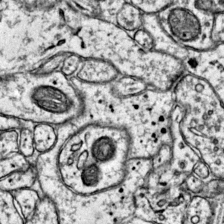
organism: Mouse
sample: Primary visual cortex